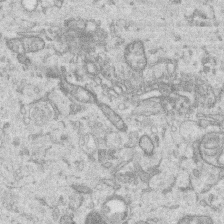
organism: Human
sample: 1205lu cells